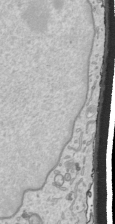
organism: Human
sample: Mitochondria in HCT116 cells